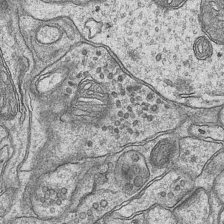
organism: Mouse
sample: CA1 Hippocampus